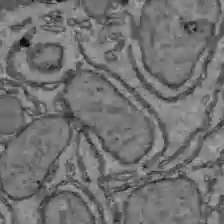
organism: C57BL Mouse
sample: Liver